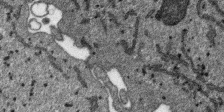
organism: Human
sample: Lung epithelial cells infected with SARS-CoV-2